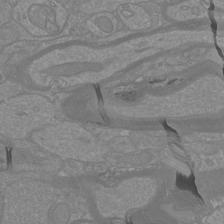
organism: Mouse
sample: Cortical neurons